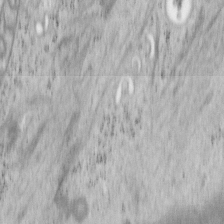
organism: Human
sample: HeLa cells